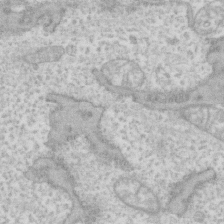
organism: Human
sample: Fibroblast cells